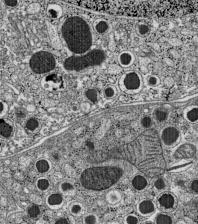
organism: C57BL Mouse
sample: Pancreatic islet